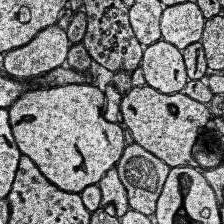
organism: Human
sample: Temporal Lobe